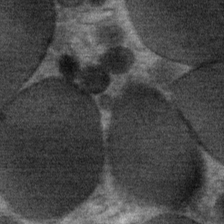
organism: Mouse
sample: Mouse Salivary gland